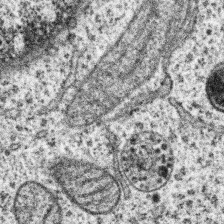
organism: Human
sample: HeLa cells